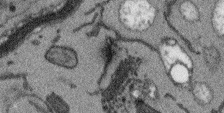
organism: Arabidopsis thaliana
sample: Root tip